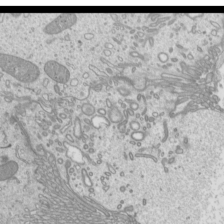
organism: Mouse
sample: Cilia; mouse epididymis